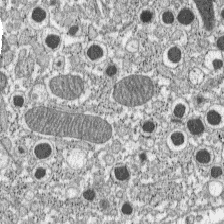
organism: C57BL Mouse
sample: Pancreatic islet